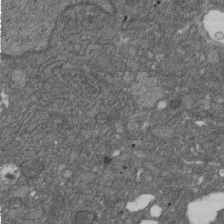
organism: Drosophila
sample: Nephrocyte